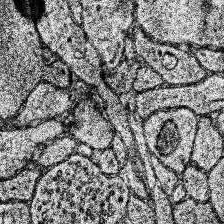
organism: Human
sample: Temporal Lobe